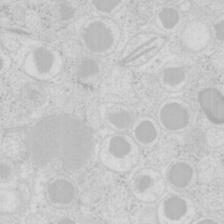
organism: Mouse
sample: Pancreas